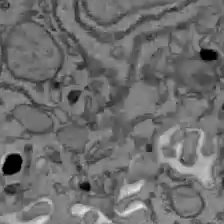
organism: C57BL Mouse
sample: Liver